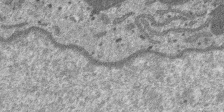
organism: Human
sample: Lung epithelial cells infected with SARS-CoV-2